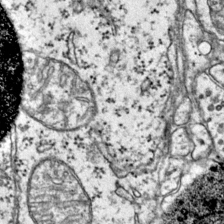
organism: Mouse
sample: Primary visual cortex